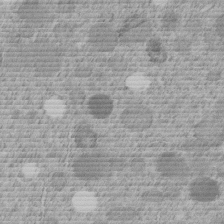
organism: C. elegans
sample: C. elegans embryo early stage